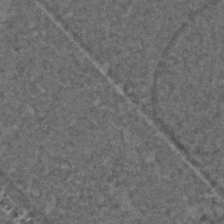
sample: Trachea